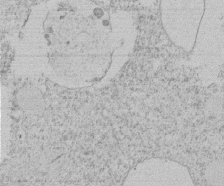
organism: Tetrahymena